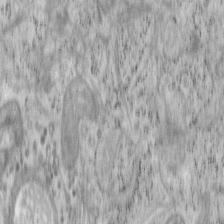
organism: Human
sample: HeLa cells